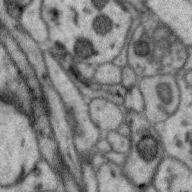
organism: Zebra finch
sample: Brain